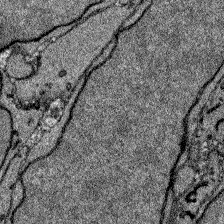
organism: Zebrafish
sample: Larval olfactory bulb